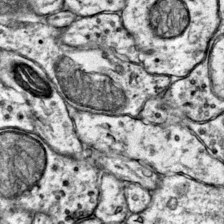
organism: Mouse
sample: Primary visual cortex